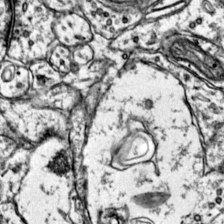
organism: Mouse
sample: Primary visual cortex